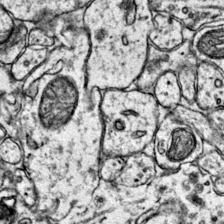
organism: Mouse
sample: Primary visual cortex